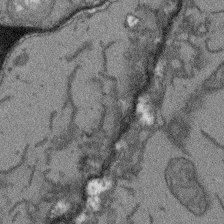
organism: Arabidopsis thaliana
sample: Root tip